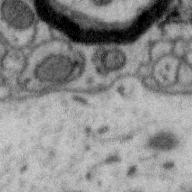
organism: Zebra finch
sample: Brain